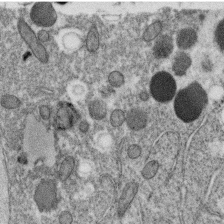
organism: C. elegans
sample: C. elegans oocyte; sperm cells